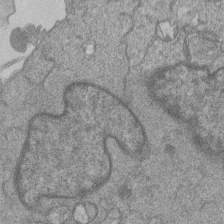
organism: Human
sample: MDA-MB-231 cells